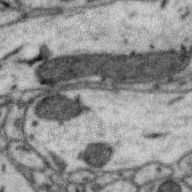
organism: Zebra finch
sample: Brain